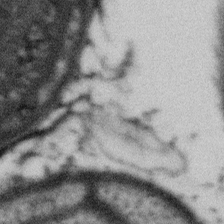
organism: Gemmata obscuriglobus